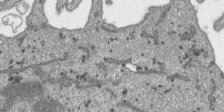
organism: Human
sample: Lung epithelial cells infected with SARS-CoV-2